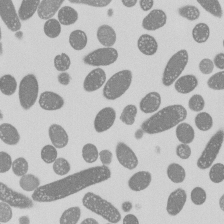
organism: E. coli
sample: Bacterial nucleoid